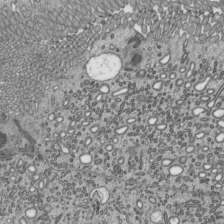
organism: Mouse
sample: Mouse epididymis efferent ductule cilia